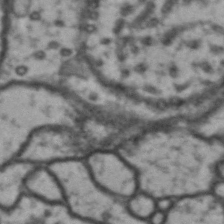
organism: Drosophila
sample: Brain